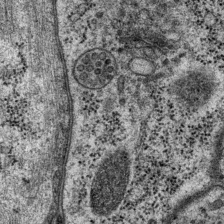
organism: P. pacificus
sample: Pharynx